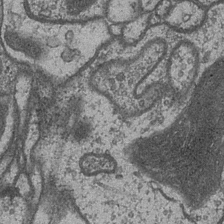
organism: Drosophila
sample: Optic medulla